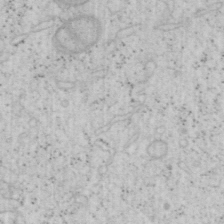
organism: Human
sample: HeLa cells